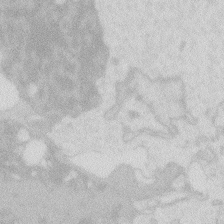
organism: Zebrafish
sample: Macrophage